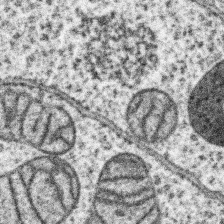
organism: Human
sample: HeLa cells